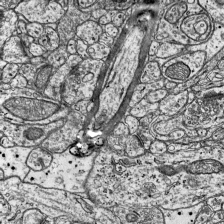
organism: Mouse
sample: Visual Cortex